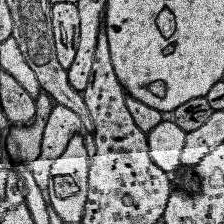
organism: Human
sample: Temporal Lobe